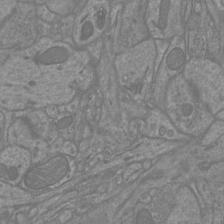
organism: Mouse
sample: Cortical neurons